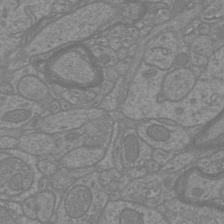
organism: Mouse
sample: Cortical neurons